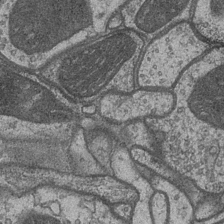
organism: Drosophila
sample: Optic medulla